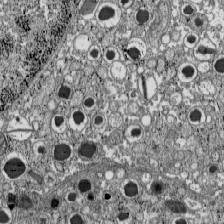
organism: C57BL Mouse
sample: Pancreatic islet